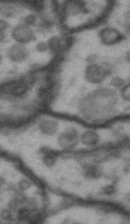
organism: Drosophila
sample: Brain